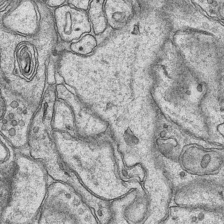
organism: Mouse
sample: CA1 Hippocampus